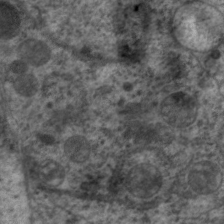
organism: C. elegans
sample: Pharynx